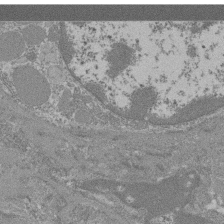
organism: Mouse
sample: Glomerulus